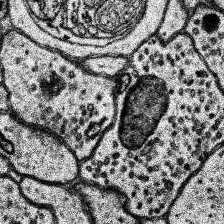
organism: Human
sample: Temporal Lobe